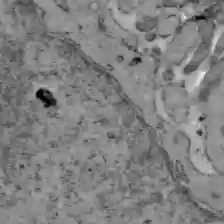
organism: C57BL Mouse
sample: Liver